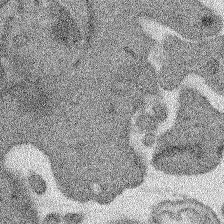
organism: Human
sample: HeLa cells